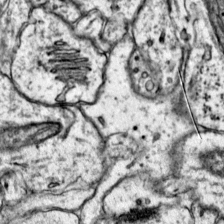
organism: Mouse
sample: Primary visual cortex